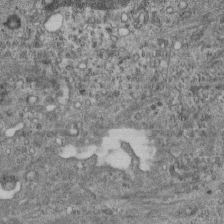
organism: Mouse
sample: Centriole in ependymal cells